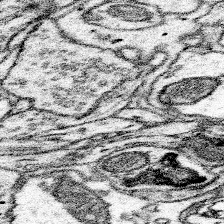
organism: Mouse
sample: Somatosensory cortex neuropil